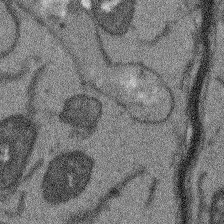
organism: Arabidopsis thaliana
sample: Root tip